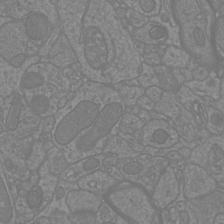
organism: Mouse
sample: Cortical neurons